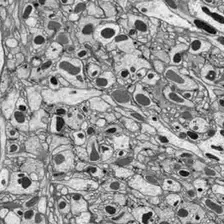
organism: Drosophila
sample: Optic lobe